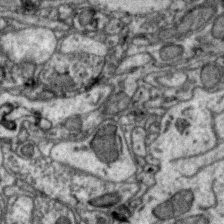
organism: Zebra finch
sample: Brain